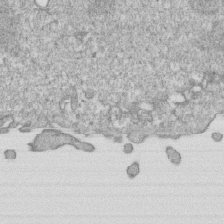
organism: Mouse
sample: Activated OT-1 CD8+ T cells